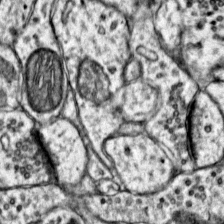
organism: Mouse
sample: Primary visual cortex